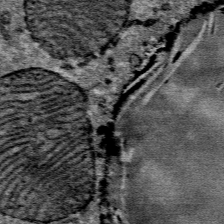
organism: Mouse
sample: Mouse Salivary gland